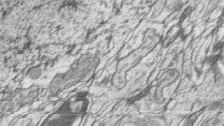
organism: Zebrafish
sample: synaptic ribbons in rod cells and cone cells